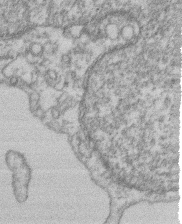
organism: Mouse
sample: T cell stromal cell synapse